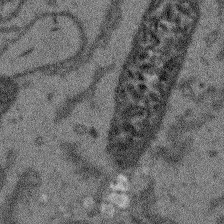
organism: Arabidopsis thaliana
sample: Root tip